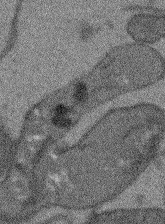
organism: Arabidopsis thaliana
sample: Root tip